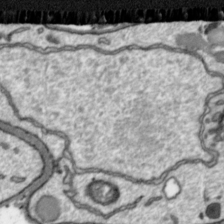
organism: Toxoplasma gondii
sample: Parasites in a vacuole inside a host cell